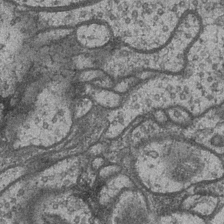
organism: Drosophila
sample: Optic medulla